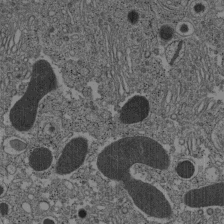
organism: C57BL Mouse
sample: Pancreatic islet